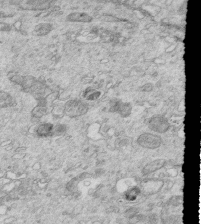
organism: Mouse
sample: Multiciliated cells